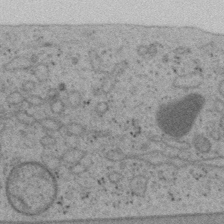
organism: Human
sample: HeLa cells